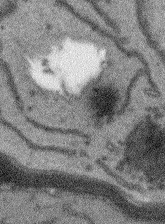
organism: Arabidopsis thaliana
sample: Root tip